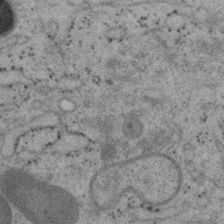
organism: Human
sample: HeLa cells